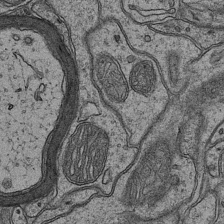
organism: Mouse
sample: CA1 Hippocampus